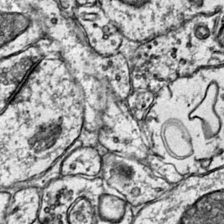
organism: Mouse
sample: Primary visual cortex